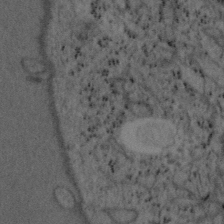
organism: Human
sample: HeLa cells